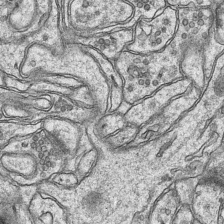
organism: Mouse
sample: CA1 Hippocampus